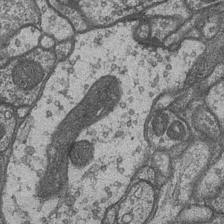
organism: Drosophila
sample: Optic medulla